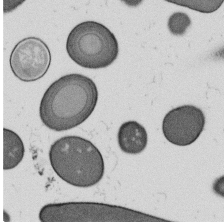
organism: B. subtilis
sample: Bacterial spore